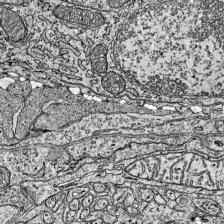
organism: Mouse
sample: Visual Cortex